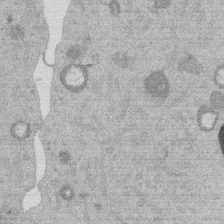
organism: Mouse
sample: Dividing mouse embryo 1 cell stage